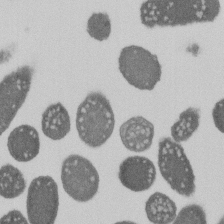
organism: E. coli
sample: Bacterial nucleoid